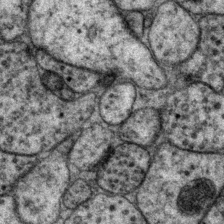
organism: P. pacificus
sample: Pharynx